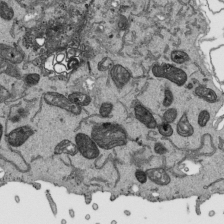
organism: Human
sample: Mitochondria in HCT116 cells